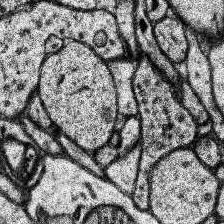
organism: Human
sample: Temporal Lobe